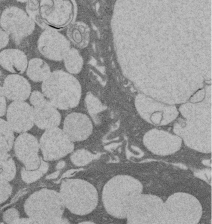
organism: Rat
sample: Salivary granule